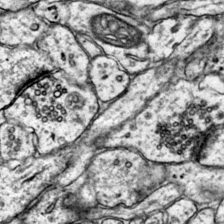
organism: Mouse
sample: Primary visual cortex